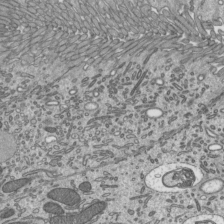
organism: Mouse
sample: Mouse epididymis efferent ductule cilia